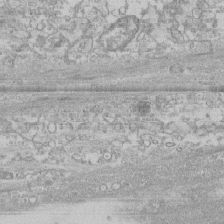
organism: Human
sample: CRL-1474